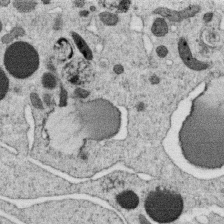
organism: C. elegans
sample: C. elegans oocyte; sperm cells